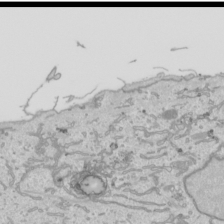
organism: Human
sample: Mitochondria in HCT116 cells